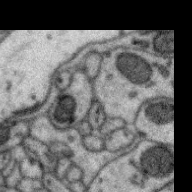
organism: Zebra finch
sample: Brain